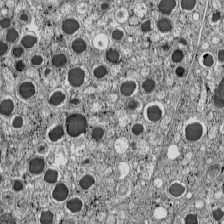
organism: C57BL Mouse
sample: Pancreatic islet